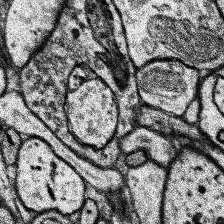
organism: Human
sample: Temporal Lobe